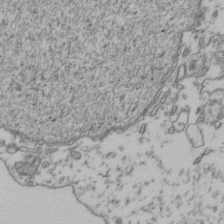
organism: Human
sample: Activated Jurkat CD4+ T cells